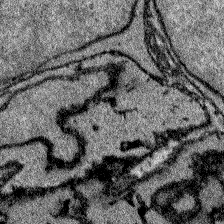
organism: Zebrafish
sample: Larval olfactory bulb